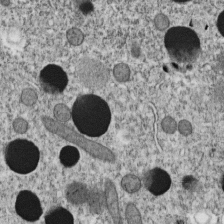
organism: C. elegans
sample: C. elegans embryo early stage